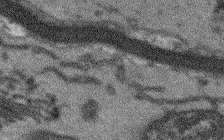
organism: Arabidopsis thaliana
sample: Root tip